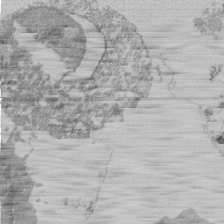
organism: Mouse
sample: Activated Pmel transgenic CD8+ T Cells